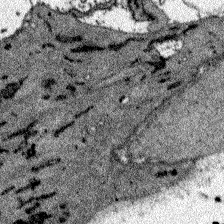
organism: Zebrafish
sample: Larval olfactory bulb